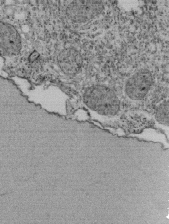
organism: Tetrahymena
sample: Cilia in tetrahymena